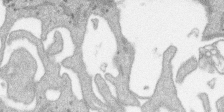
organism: Human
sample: Lung epithelial cells infected with SARS-CoV-2